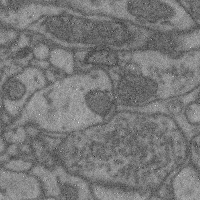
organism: Mouse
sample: Cerebral cortex